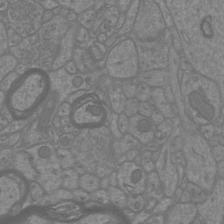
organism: Mouse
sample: Cortical neurons